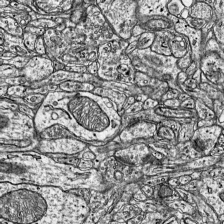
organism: Mouse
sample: Visual Cortex